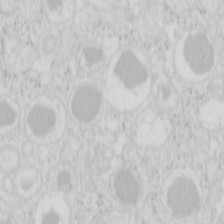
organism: Mouse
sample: Pancreas